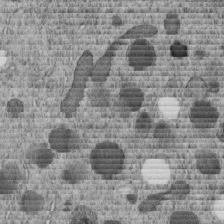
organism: C. elegans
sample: C. elegans embryo early stage